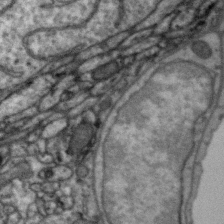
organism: Zebra finch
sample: Brain